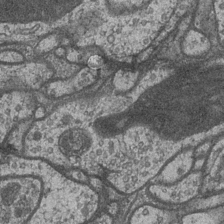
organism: Drosophila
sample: Optic medulla